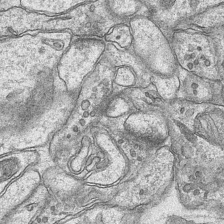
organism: Mouse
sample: CA1 Hippocampus